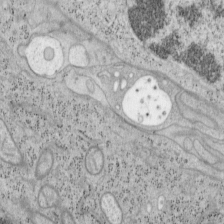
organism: Mouse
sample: OT-I killer T cells with ID8 ovarian cancer cells